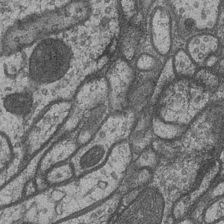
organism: Drosophila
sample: Optic medulla